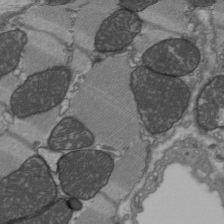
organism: C57BL Mouse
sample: Heart